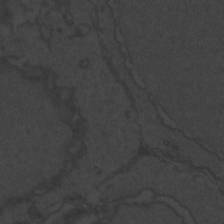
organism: Zebrafish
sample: Macrophage infected with Toxoplasma gondii